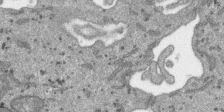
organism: Human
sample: Lung epithelial cells infected with SARS-CoV-2